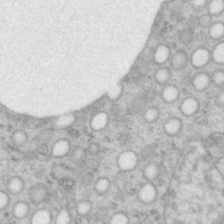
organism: P. pacificus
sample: Pharynx